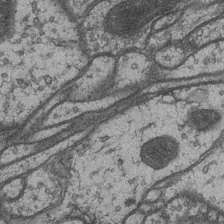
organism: Drosophila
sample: Optic medulla